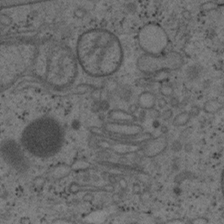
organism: Human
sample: HeLa cells